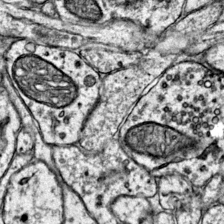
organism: Mouse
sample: Primary visual cortex